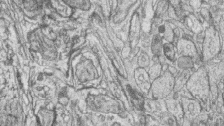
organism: Zebrafish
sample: synaptic ribbons in rod cells and cone cells